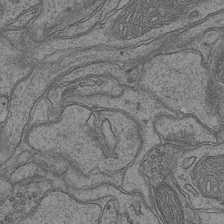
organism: Mouse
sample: CA1 Hippocampus